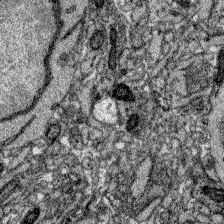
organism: Zebrafish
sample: Larval olfactory bulb